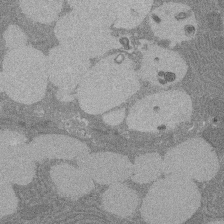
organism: Rat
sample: Salivary granule